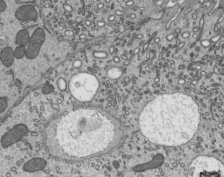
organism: Mouse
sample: Mouse epididymis efferent ductule cilia